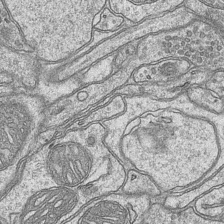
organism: Mouse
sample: CA1 Hippocampus